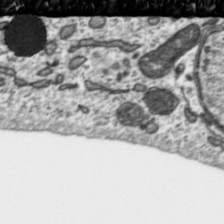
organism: Toxoplasma gondii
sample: Parasites in a vacuole inside a host cell